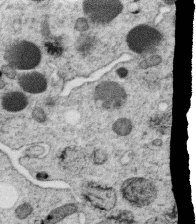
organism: C. elegans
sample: C. elegans oocyte; sperm cells